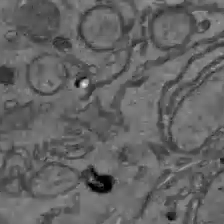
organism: C57BL Mouse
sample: Liver